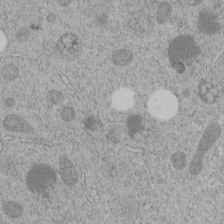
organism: C. elegans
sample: C. elegans embryo early stage